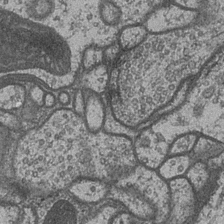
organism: Drosophila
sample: Optic medulla